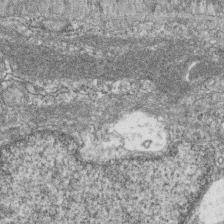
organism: Zebrafish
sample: Cilia; retinal pigment epithelium